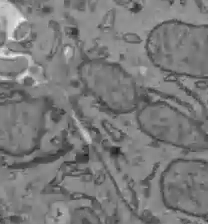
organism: C57BL Mouse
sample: Liver